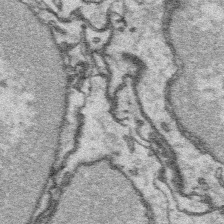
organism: Platynereis dumerilii